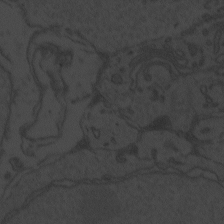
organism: Zebrafish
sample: Macrophage infected with Toxoplasma gondii